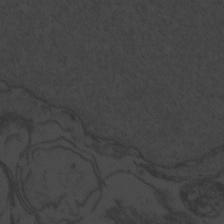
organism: Zebrafish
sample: Macrophage infected with Toxoplasma gondii